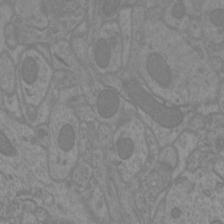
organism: Mouse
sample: Cortical neurons